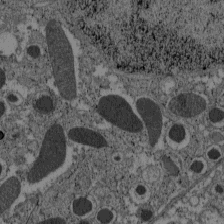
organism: C57BL Mouse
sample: Pancreatic islet